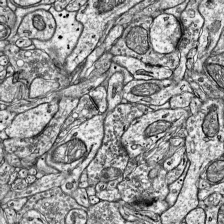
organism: Mouse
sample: Visual Cortex